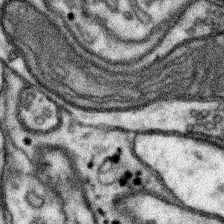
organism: Mouse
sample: Somatosensory cortex neuropil